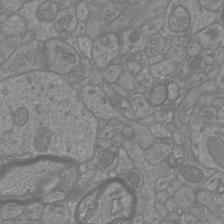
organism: Mouse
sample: Cortical neurons